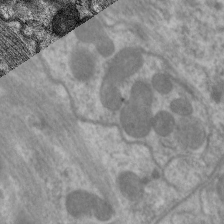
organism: C. elegans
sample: Pharynx